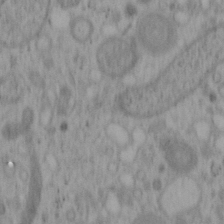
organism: Mouse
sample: OT-I killer T cells with ID8 ovarian cancer cells